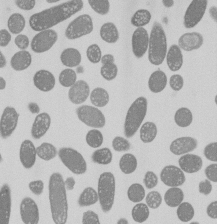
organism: E. coli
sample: Bacterial nucleoid